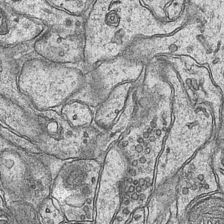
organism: Mouse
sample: CA1 Hippocampus